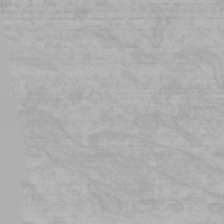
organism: Mouse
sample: Choroid plexus